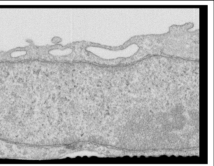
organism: Human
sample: Centriole in RPE cells